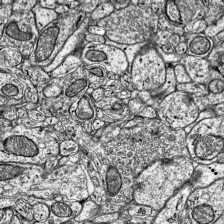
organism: Mouse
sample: Visual Cortex